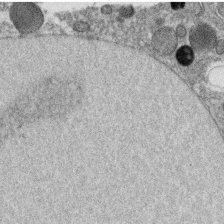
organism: C. elegans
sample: C. elegans oocyte; sperm cells